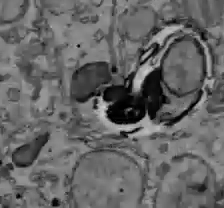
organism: C57BL Mouse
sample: Liver